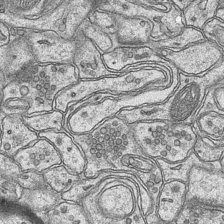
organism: Mouse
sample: CA1 Hippocampus